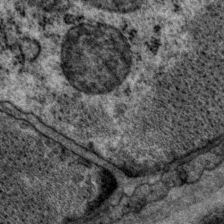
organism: P. pacificus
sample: Pharynx